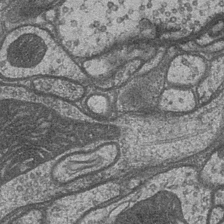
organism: Drosophila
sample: Optic medulla